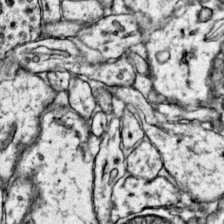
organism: Mouse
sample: Primary visual cortex